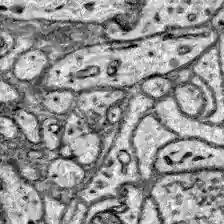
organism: Zebrafish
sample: Brain